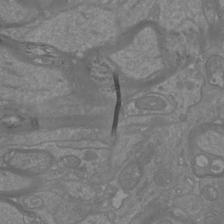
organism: Mouse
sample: Cortical neurons